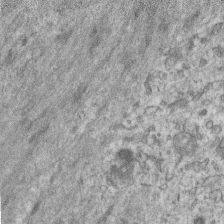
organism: Mouse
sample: Centriole in ependymal cells